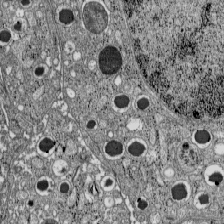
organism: C57BL Mouse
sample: Pancreatic islet